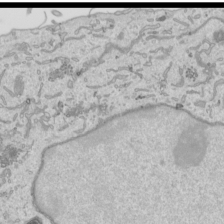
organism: Human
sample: Mitochondria in HCT116 cells